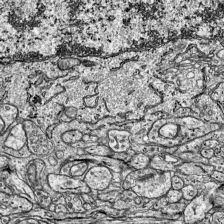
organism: Mouse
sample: Visual Cortex